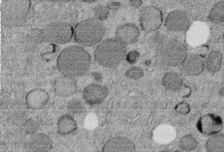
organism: C. elegans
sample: C. elegans embryo early stage